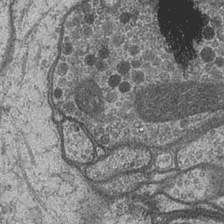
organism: Drosophila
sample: Optic medulla